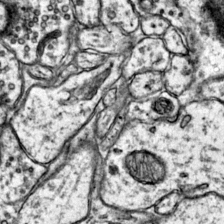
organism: Mouse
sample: Primary visual cortex